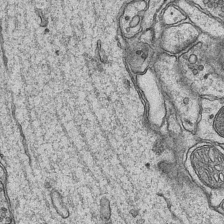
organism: Mouse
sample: CA1 Hippocampus